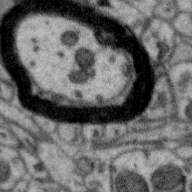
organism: Zebra finch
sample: Brain